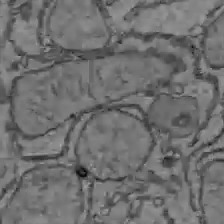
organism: C57BL Mouse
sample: Liver